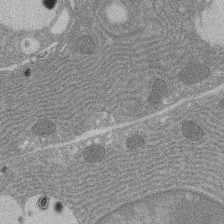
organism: Rat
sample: Salivary granule